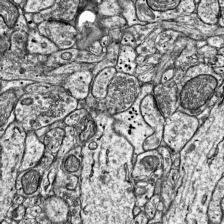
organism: Mouse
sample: Visual Cortex